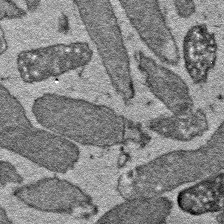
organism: E. coli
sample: E. Coli Bacteria